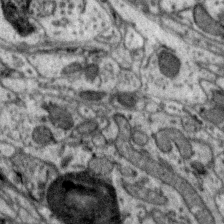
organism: Zebra finch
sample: Brain